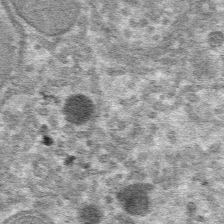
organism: Mouse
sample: Mouse hepatocytes